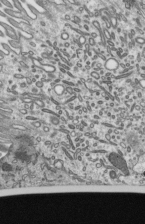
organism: Mouse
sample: Mouse epididymis efferent ductule cilia